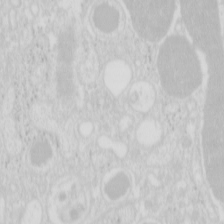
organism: Mouse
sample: Pancreas